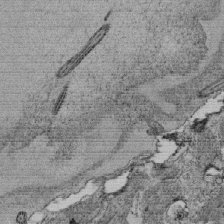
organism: Tetrahymena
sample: Cilia in tetrahymena